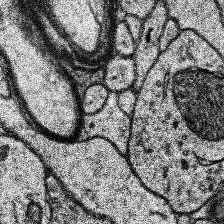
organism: Human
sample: Temporal Lobe